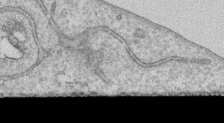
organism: Human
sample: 1205lu cells